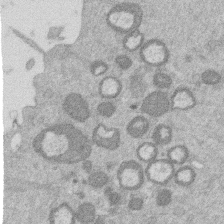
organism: Mouse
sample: Dividing mouse embryo 1 cell stage